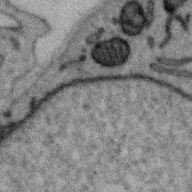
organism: Zebra finch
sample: Brain